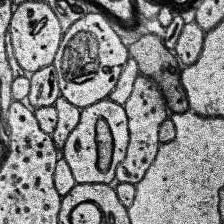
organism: Human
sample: Temporal Lobe